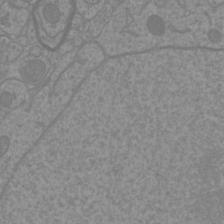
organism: Mouse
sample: Cortical neurons